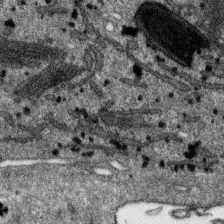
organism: Human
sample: Lung epithelial cells infected with SARS-CoV-2